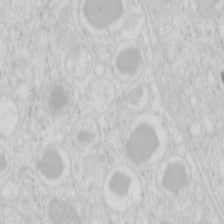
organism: Mouse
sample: Pancreas